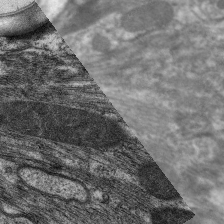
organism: C. elegans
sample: Pharynx